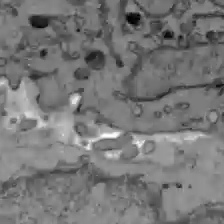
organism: C57BL Mouse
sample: Liver